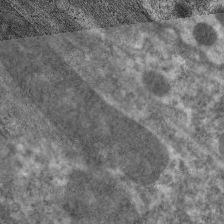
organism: C. elegans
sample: Pharynx